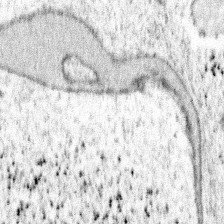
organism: Human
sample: HeLa cells